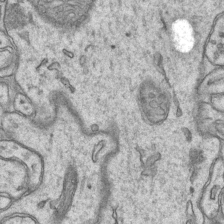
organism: Mouse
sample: CA1 Hippocampus